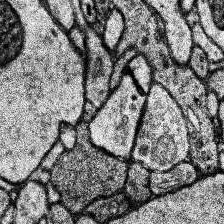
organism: Human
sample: Temporal Lobe